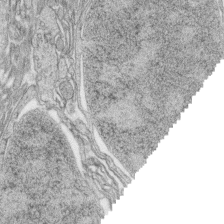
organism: Zebrafish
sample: synaptic ribbons in rod cells and cone cells